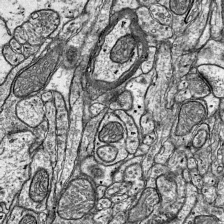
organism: Mouse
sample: Visual Cortex